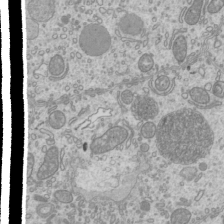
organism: Mouse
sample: Cilia; mouse epididymis